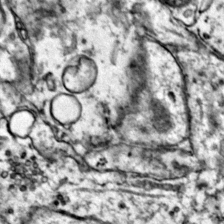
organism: Mouse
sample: Primary visual cortex